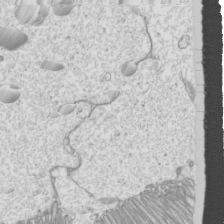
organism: Mouse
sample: Cilia; mouse epididymis